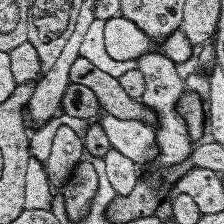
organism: Human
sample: Temporal Lobe